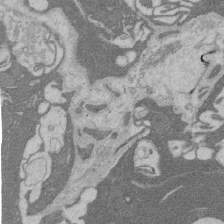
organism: Rat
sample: Salivary granule